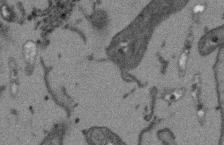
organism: Arabidopsis thaliana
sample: Root tip